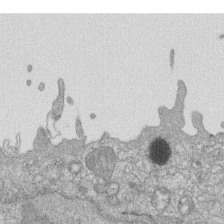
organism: Human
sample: HeLa cell HIV synapse